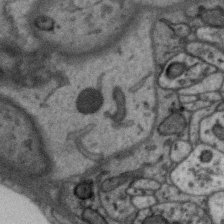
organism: Zebra finch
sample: Brain